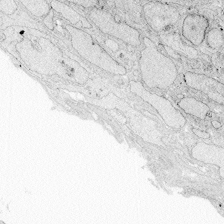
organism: Zebrafish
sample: Whole-Brain